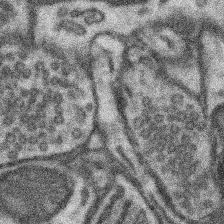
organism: Mouse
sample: Somatosensory cortex neuropil